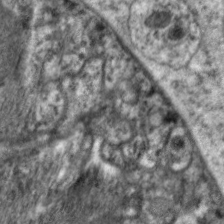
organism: C. elegans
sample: Pharynx